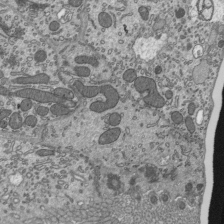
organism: Mouse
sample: Mouse epididymis efferent ductule cilia